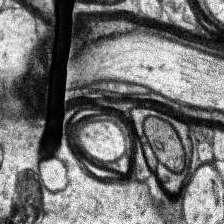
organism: Human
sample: Temporal Lobe